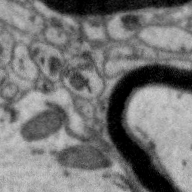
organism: Zebra finch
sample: Brain